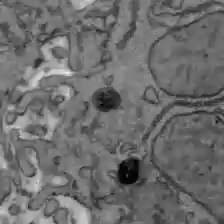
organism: C57BL Mouse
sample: Liver